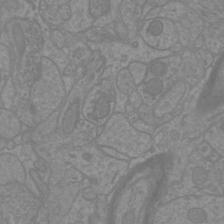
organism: Mouse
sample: Cortical neurons